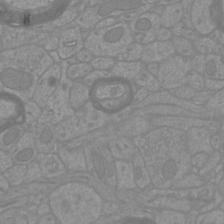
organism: Mouse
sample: Cortical neurons